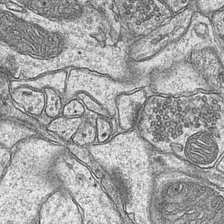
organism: Mouse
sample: CA1 Hippocampus